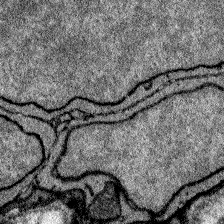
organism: Zebrafish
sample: Larval olfactory bulb